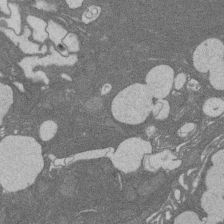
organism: Rat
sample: Salivary granule